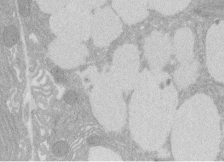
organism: Rat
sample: Salivary granule